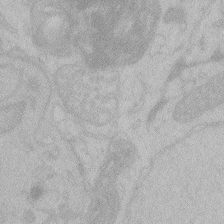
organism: Zebrafish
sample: Macrophage infected with Toxoplasma gondii